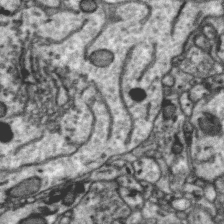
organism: Zebra finch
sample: Brain